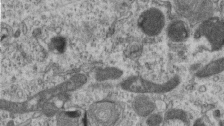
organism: Mouse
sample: Centriole in ependymal cells